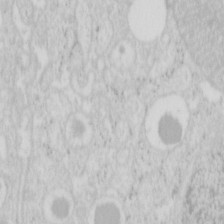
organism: Mouse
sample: Pancreas